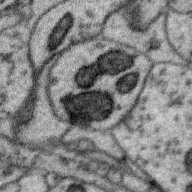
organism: Zebra finch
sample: Brain